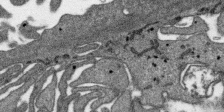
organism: Human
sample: Lung epithelial cells, uninfected (mock) control